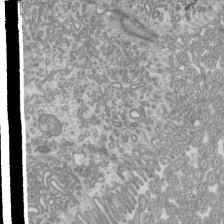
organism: Mouse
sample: Cilia; mouse epididymis